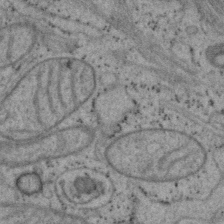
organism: Human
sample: HeLa cells